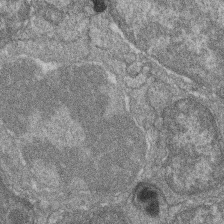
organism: Zebrafish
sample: Cilia; retinal pigment epithelium